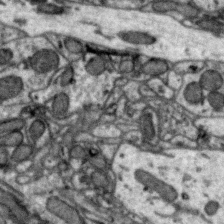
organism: Zebra finch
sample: Brain